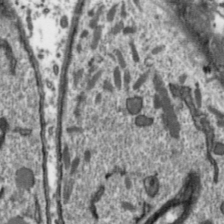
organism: Toxoplasma gondii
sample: Parasites in a vacuole inside a host cell